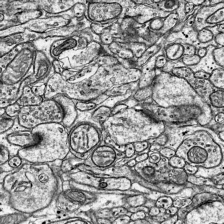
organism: Mouse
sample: Visual Cortex